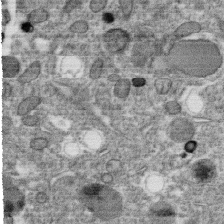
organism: C. elegans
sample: C. elegans oocyte; sperm cells